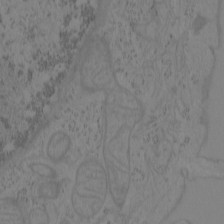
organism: Human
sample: HeLa cells